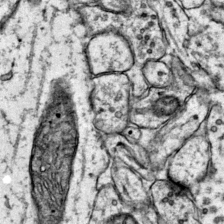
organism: Mouse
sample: Primary visual cortex